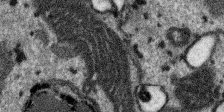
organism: Human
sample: Lung epithelial cells infected with SARS-CoV-2